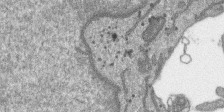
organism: Human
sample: Lung epithelial cells infected with SARS-CoV-2